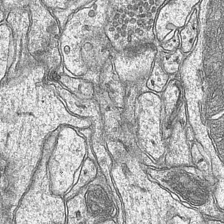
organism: Mouse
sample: CA1 Hippocampus